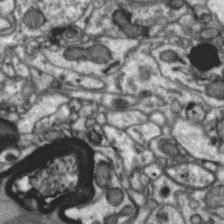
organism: Zebra finch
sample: Brain